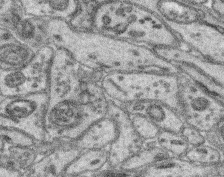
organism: Mouse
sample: Retina